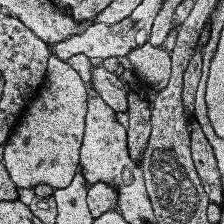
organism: Human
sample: Temporal Lobe